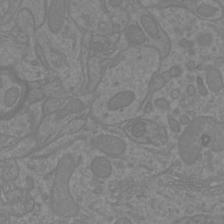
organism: Mouse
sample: Cortical neurons